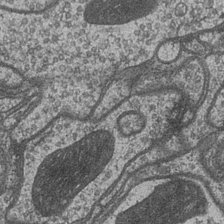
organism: Drosophila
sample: Optic medulla